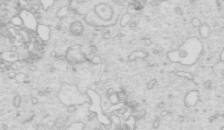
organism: Mouse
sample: Multiciliated cells